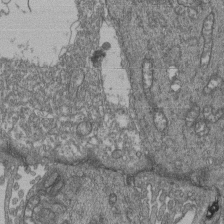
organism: Human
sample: Retinal organoid Rod and Cone cells